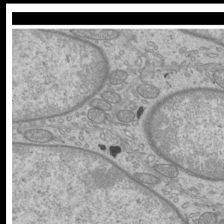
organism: Mouse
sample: Cilia; mouse epididymis